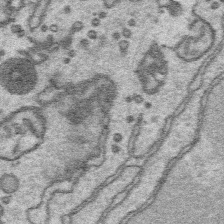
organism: Platynereis dumerilii